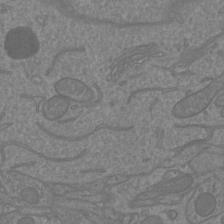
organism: Mouse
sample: Cortical neurons